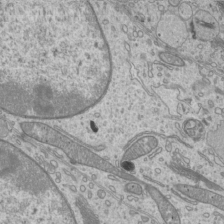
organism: Mouse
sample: Cilia; mouse epididymis